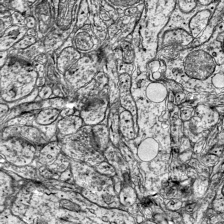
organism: Mouse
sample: Visual Cortex